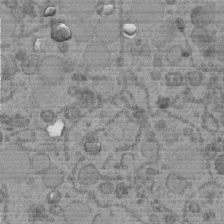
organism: C. elegans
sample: C. elegans embryo early stage